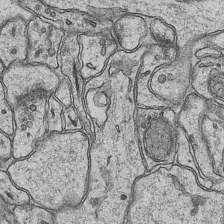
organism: Mouse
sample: CA1 Hippocampus